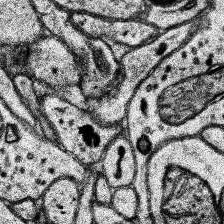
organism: Human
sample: Temporal Lobe